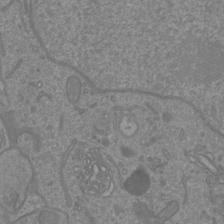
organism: Mouse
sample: Cortical neurons